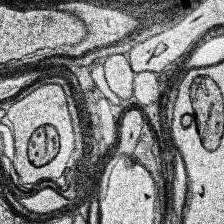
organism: Human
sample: Temporal Lobe